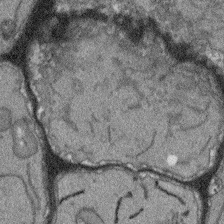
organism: Arabidopsis thaliana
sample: Root tip